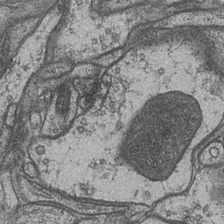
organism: Drosophila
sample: Optic medulla